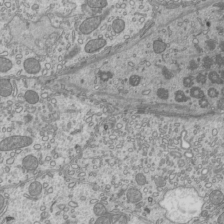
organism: Mouse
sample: Cilia; mouse epididymis